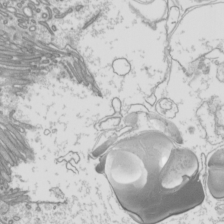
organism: Mouse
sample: Cilia; mouse epididymis